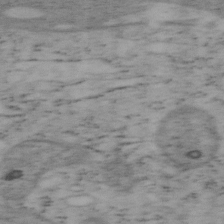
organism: Mouse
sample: OT-I killer T cells with ID8 ovarian cancer cells